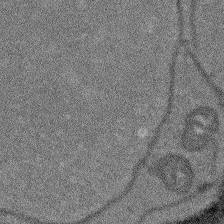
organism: Arabidopsis thaliana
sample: Root tip